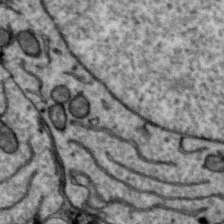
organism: Zebra finch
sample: Brain